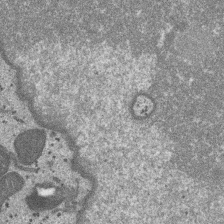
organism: Human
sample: Lung epithelial cells infected with SARS-CoV-2